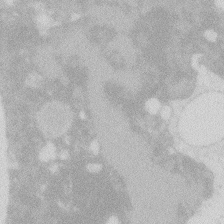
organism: Zebrafish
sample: Macrophage